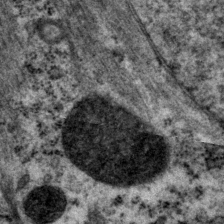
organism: P. pacificus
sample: Pharynx